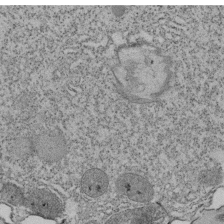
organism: Tetrahymena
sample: Cilia in tetrahymena